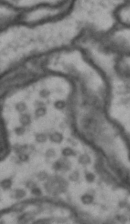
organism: Drosophila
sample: Brain